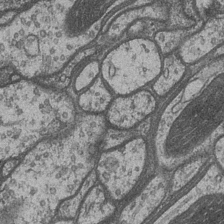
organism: Drosophila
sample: Optic medulla